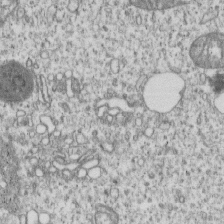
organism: Human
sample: MDA-MB-231 cells